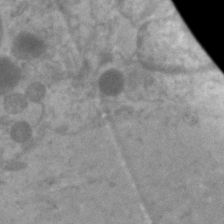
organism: Human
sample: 1205lu cells